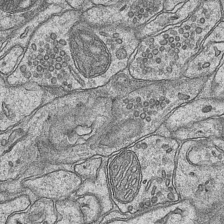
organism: Mouse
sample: CA1 Hippocampus